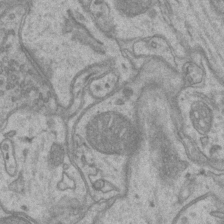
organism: Mouse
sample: CA1 Hippocampus